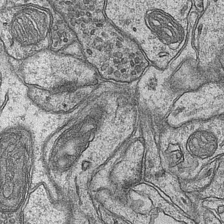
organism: Mouse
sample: CA1 Hippocampus